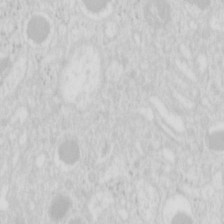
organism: Mouse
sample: Pancreas